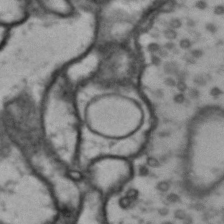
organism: Drosophila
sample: Brain